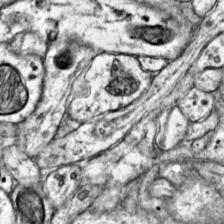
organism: Mouse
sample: Primary visual cortex